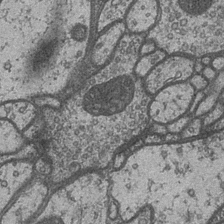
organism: Drosophila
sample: Optic medulla